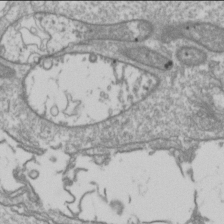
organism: Drosophila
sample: Cell division; meiosis; drosophila spermatocytes